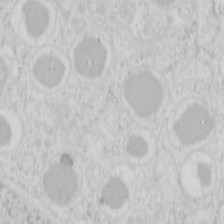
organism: Mouse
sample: Pancreas